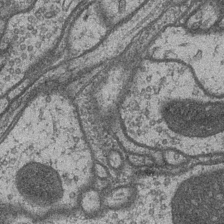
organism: Drosophila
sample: Optic medulla